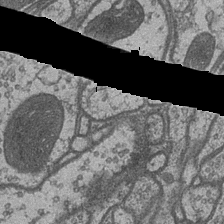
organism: Drosophila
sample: Optic medulla